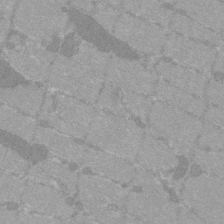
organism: C57BL Mouse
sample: Tibialis anterior muscle cell